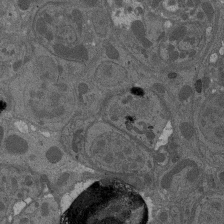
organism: Drosophila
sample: Antenna